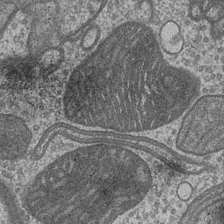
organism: Drosophila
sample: Optic medulla